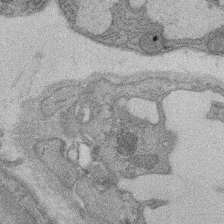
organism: Rat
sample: Salivary granule